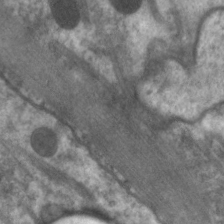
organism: C. elegans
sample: Pharynx